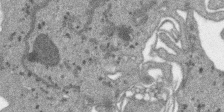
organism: Human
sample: Lung epithelial cells infected with SARS-CoV-2